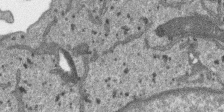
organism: Human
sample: Lung epithelial cells infected with SARS-CoV-2